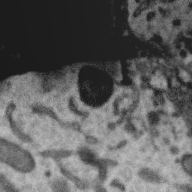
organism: Zebra finch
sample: Brain